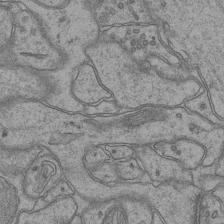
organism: Mouse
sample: CA1 Hippocampus